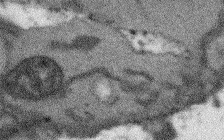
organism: Arabidopsis thaliana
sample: Root tip